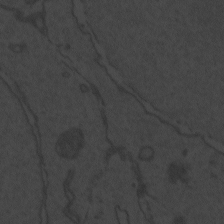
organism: Zebrafish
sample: Macrophage infected with Toxoplasma gondii